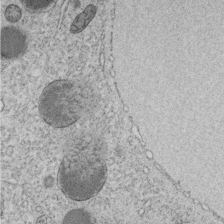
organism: C. elegans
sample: C. elegans embryo early stage